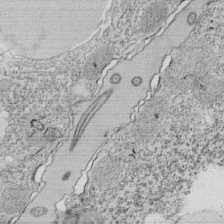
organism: Tetrahymena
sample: Cilia in tetrahymena